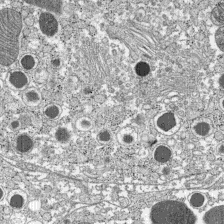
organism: C57BL Mouse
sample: Pancreatic islet